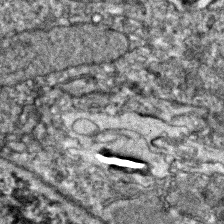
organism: Zebrafish